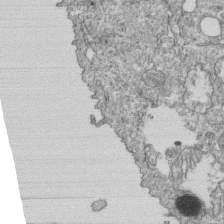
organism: Human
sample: HeLa cell HIV synapse